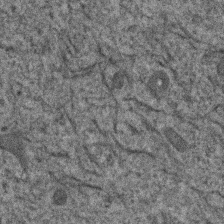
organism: Human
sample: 1205lu cells